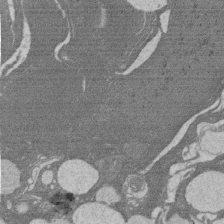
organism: Rat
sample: Salivary granule